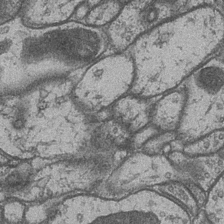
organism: Drosophila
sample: Optic medulla